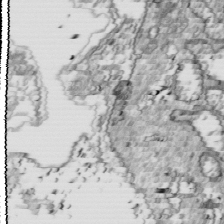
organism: Drosophila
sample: Cell division; meiosis; drosophila spermatocytes